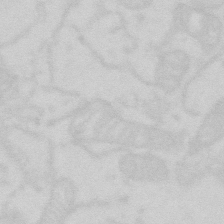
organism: Human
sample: HeLa cells